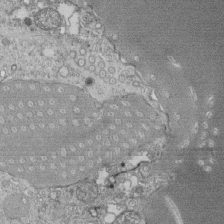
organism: Tetrahymena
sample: Cilia in tetrahymena